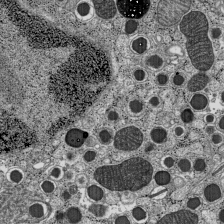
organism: C57BL Mouse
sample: Pancreatic islet